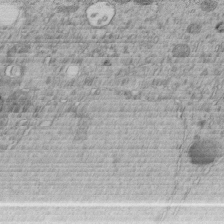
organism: C. elegans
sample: C. elegans embryo early stage